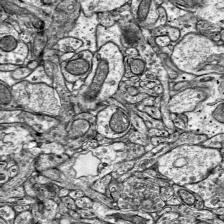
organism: Mouse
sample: Visual Cortex